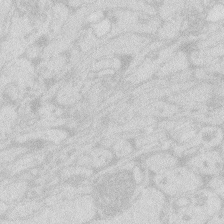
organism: Zebrafish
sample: Macrophage